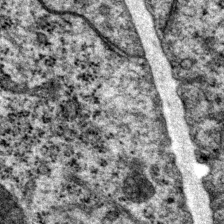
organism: P. pacificus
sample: Pharynx